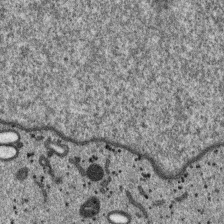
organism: Human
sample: Lung epithelial cells infected with SARS-CoV-2